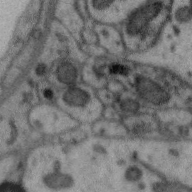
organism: Zebra finch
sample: Brain